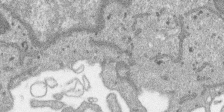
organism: Human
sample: Lung epithelial cells infected with SARS-CoV-2